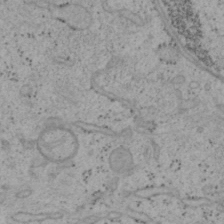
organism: Human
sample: HeLa cells